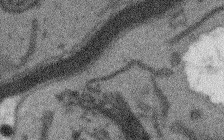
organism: Arabidopsis thaliana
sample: Root tip